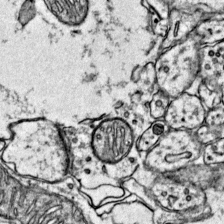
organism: Mouse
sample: Primary visual cortex